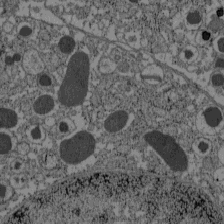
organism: C57BL Mouse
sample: Pancreatic islet